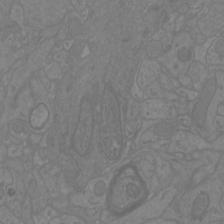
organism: Mouse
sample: Cortical neurons